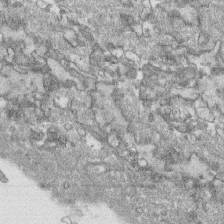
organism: Human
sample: CRL-1474